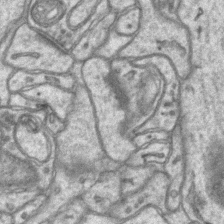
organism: Mouse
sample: CA1 Hippocampus